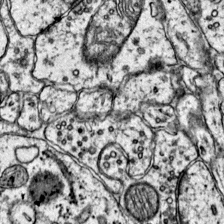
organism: Mouse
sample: Primary visual cortex